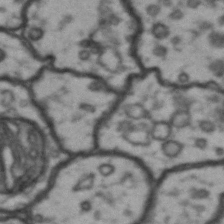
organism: Drosophila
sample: Brain